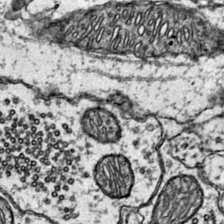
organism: Mouse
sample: Primary visual cortex